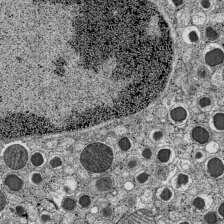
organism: C57BL Mouse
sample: Pancreatic islet